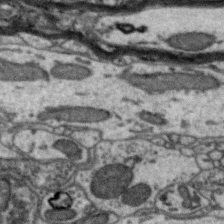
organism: Zebra finch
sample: Brain